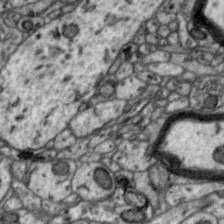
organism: Zebra finch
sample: Brain